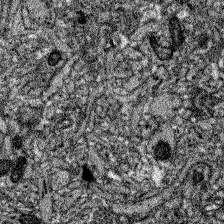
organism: Zebrafish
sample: Larval olfactory bulb